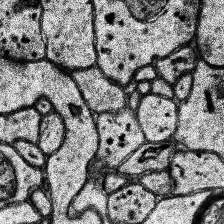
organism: Human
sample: Temporal Lobe